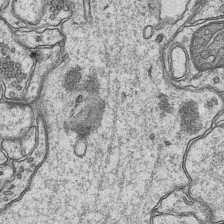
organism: Mouse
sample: CA1 Hippocampus